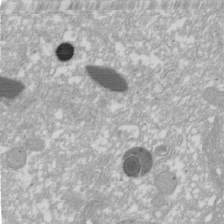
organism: Xenopus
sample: Cilia; centrioles in frog embryo cells